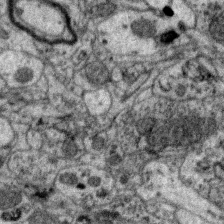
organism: Zebra finch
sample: Brain